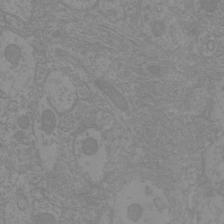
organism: Mouse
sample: Cortical neurons